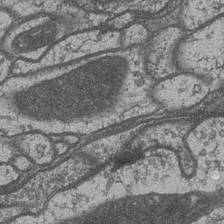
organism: Drosophila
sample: Optic medulla